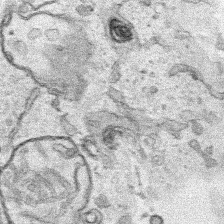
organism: Human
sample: Mitochondria in HCT116 cells